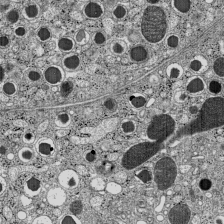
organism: C57BL Mouse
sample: Pancreatic islet